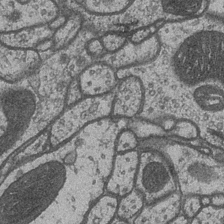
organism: Drosophila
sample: Optic medulla